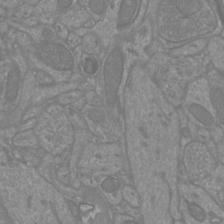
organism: Mouse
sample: Cortical neurons